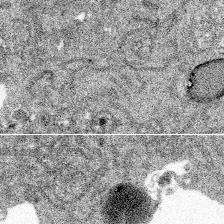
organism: Spongilla lacustris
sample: Multiple